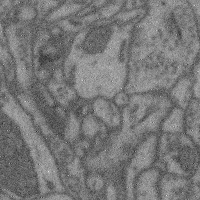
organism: Mouse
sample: Cerebral cortex